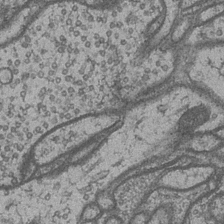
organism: Drosophila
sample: Optic medulla